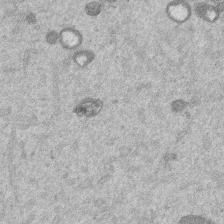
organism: Mouse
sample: Dividing mouse embryo 1 cell stage